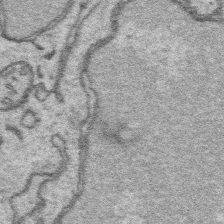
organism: Platynereis dumerilii